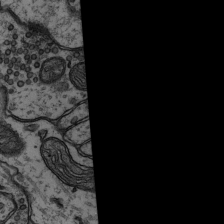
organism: Rat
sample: Hippocampus